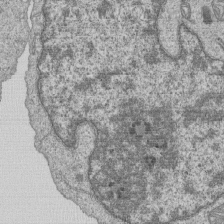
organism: Human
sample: MDA-MB-231 cells